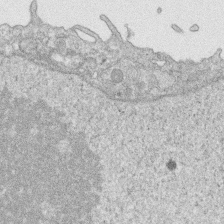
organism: Human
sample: HeLa cell HIV synapse